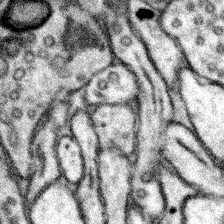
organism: Mouse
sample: Somatosensory cortex neuropil